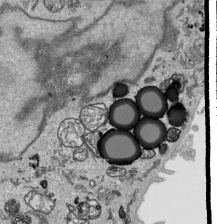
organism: Human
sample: Mitochondria in HCT116 cells